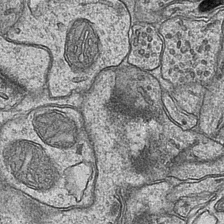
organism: Mouse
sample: CA1 Hippocampus